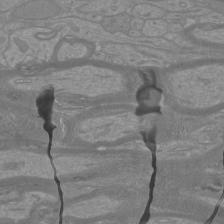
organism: Mouse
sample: Cortical neurons